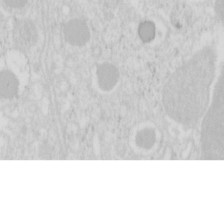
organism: Mouse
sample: Pancreas